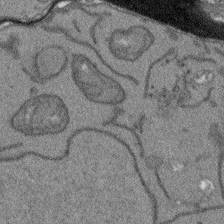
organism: Arabidopsis thaliana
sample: Root tip